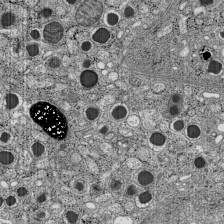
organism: C57BL Mouse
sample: Pancreatic islet